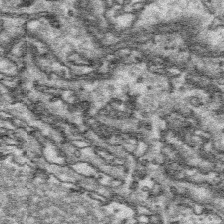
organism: Platynereis dumerilii